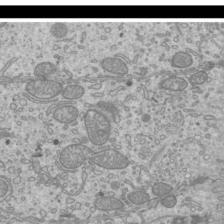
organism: Mouse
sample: Cilia; mouse epididymis